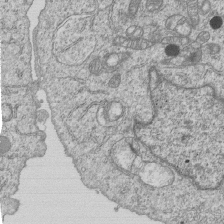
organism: Human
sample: MDA-MB-231 cells